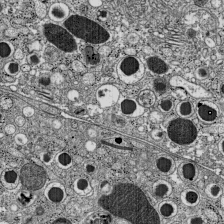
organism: C57BL Mouse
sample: Pancreatic islet